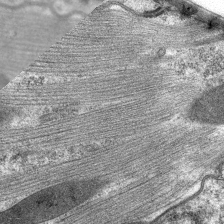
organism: C. elegans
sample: Pharynx